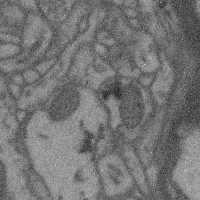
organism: Mouse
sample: Cerebral cortex